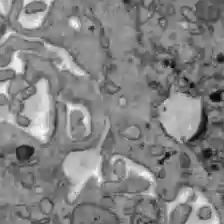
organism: C57BL Mouse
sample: Liver